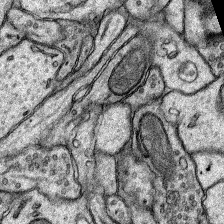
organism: Rat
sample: Hippocampus